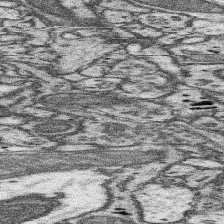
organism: Mouse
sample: Somatosensory cortex neuropil